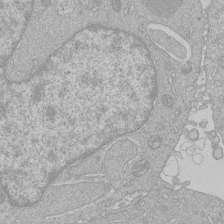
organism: Human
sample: Macrophage cells